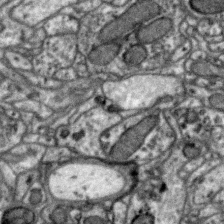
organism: Zebra finch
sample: Brain